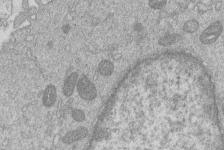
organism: Human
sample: Macrophage cells